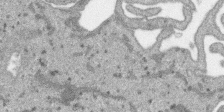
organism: Human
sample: Lung epithelial cells infected with SARS-CoV-2